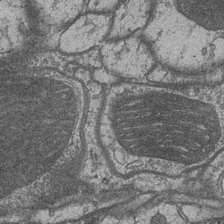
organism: Drosophila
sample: Optic medulla